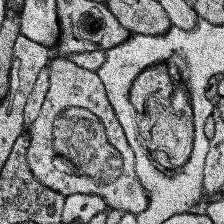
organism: Human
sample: Temporal Lobe